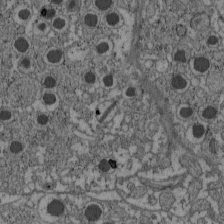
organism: C57BL Mouse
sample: Pancreatic islet